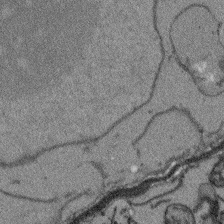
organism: Arabidopsis thaliana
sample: Root tip